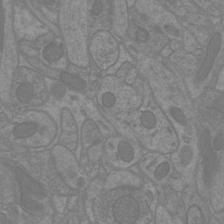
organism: Mouse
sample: Cortical neurons